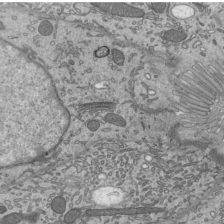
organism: Mouse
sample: Mouse epididymis efferent ductule cilia